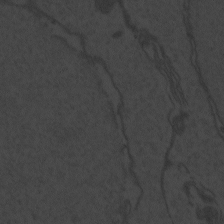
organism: Zebrafish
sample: Macrophage infected with Toxoplasma gondii